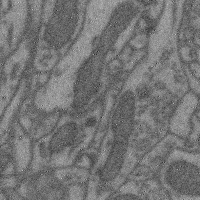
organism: Mouse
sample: Cerebral cortex